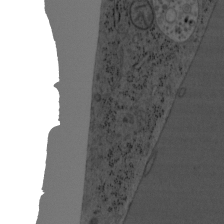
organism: Mouse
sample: OT-I killer T cells with ID8 ovarian cancer cells